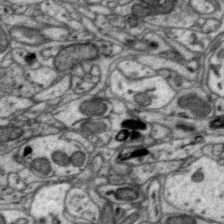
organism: Zebra finch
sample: Brain